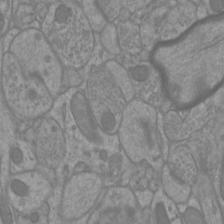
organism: Mouse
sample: Cortical neurons